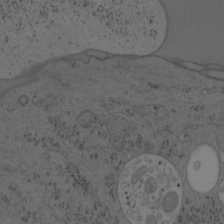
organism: Mouse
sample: OT-I killer T cells with ID8 ovarian cancer cells